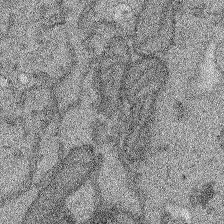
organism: Human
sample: HeLa cells